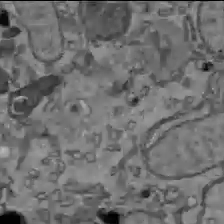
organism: C57BL Mouse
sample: Liver